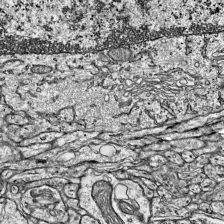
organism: Mouse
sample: Visual Cortex